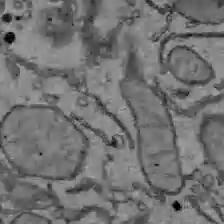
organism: C57BL Mouse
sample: Liver